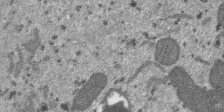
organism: Human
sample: Lung epithelial cells infected with SARS-CoV-2